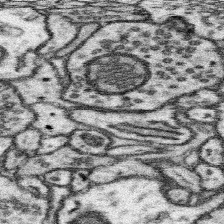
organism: Mouse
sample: Somatosensory cortex neuropil